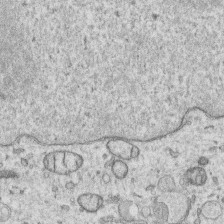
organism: Human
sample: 1205lu cells